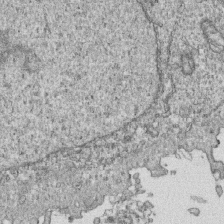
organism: Human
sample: HeLa cell HIV synapse